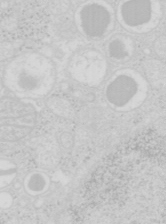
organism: Mouse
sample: Pancreas